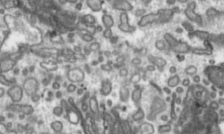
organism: Toxoplasma gondii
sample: Parasites in a vacuole inside a host cell